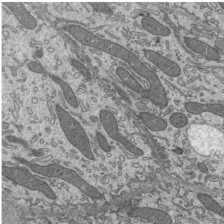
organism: Mouse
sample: Mouse epididymis efferent ductule cilia